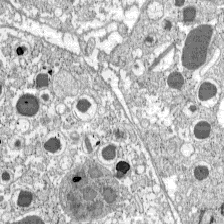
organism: C57BL Mouse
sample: Pancreatic islet